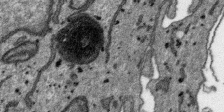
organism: Human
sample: Lung epithelial cells, uninfected (mock) control